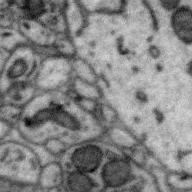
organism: Zebra finch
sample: Brain